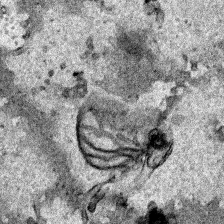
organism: Human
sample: Mitochondria in HCT116 cells